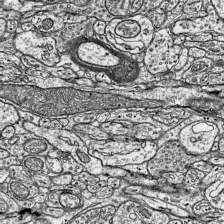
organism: Mouse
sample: Visual Cortex